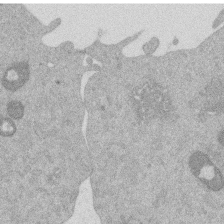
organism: Mouse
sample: Dividing mouse embryo 1 cell stage